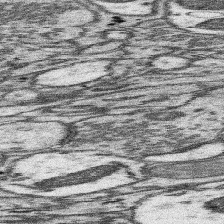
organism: Mouse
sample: Somatosensory cortex neuropil